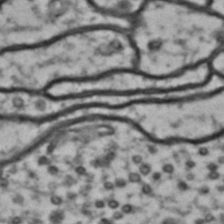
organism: Drosophila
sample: Brain